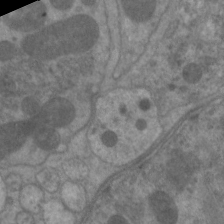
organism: C. elegans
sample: Pharynx